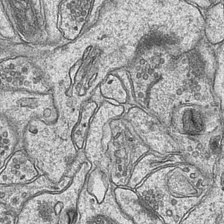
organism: Mouse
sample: CA1 Hippocampus